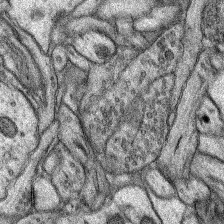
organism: Rat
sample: Hippocampus